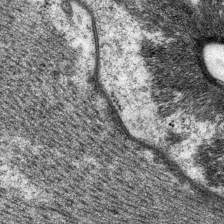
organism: P. pacificus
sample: Pharynx